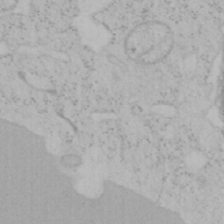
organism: Mouse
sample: OT-I killer T cells with ID8 ovarian cancer cells